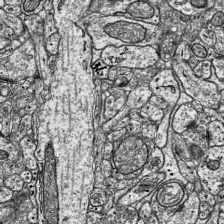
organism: Mouse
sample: Visual Cortex